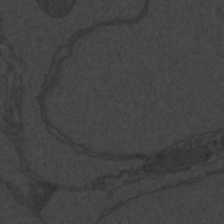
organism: Zebrafish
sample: Macrophage infected with Toxoplasma gondii